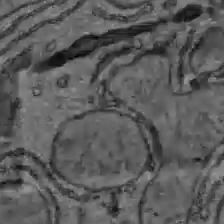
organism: C57BL Mouse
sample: Liver